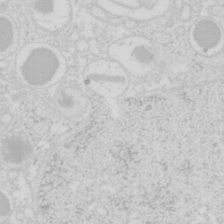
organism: Mouse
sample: Pancreas